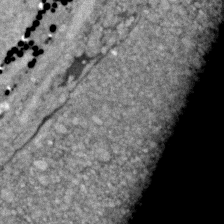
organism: Zebrafish